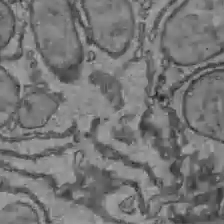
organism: C57BL Mouse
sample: Liver